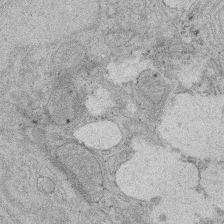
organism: Rat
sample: Salivary granule